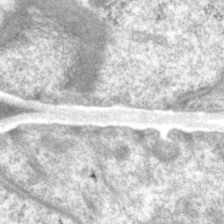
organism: P. pacificus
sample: Pharynx